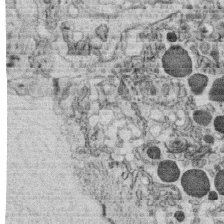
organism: C. elegans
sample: C. elegans oocyte; sperm cells